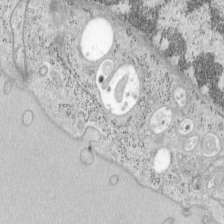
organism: Mouse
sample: OT-I killer T cells with ID8 ovarian cancer cells